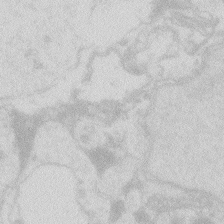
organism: Zebrafish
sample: Macrophage